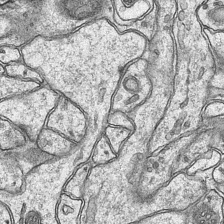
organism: Mouse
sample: CA1 Hippocampus